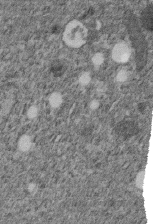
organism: C. elegans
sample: C. elegans embryo early stage